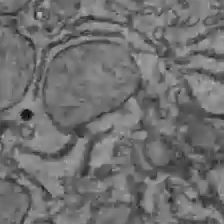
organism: C57BL Mouse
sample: Liver